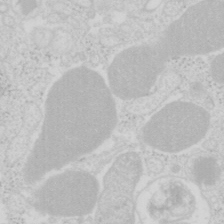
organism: Mouse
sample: Pancreas